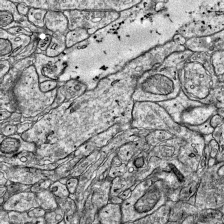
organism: Mouse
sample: Visual Cortex